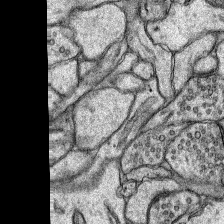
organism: Rat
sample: Hippocampus